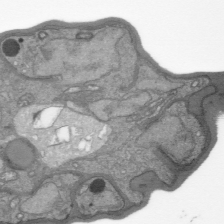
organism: Plasmodium falciparum